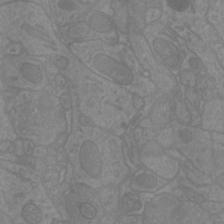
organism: Mouse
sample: Cortical neurons